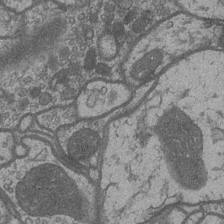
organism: Drosophila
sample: Optic medulla